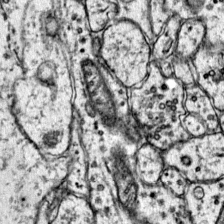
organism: Mouse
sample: Primary visual cortex